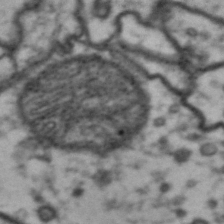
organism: Drosophila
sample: Brain